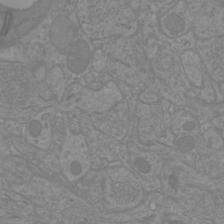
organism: Mouse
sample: Cortical neurons